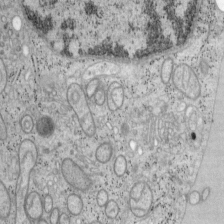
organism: Mouse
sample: OT-I killer T cells with ID8 ovarian cancer cells